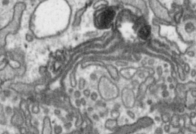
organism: Toxoplasma gondii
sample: Parasites in a vacuole inside a host cell